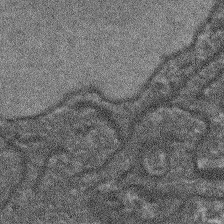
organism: Arabidopsis thaliana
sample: Root tip